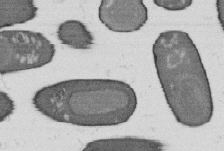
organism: B. subtilis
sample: Bacterial spore